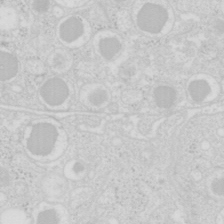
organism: Mouse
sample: Pancreas